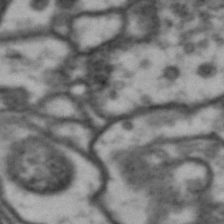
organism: Drosophila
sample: Brain